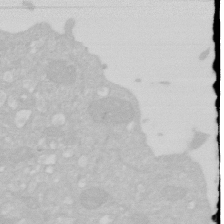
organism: Human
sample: HIV infected U937 cells